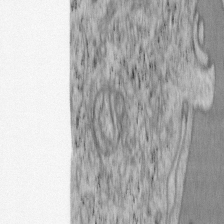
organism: Human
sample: HeLa cells